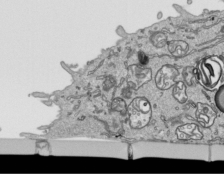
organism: Human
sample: Mitochondria in HCT116 cells